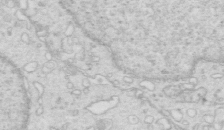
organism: Mouse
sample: Multiciliated cells